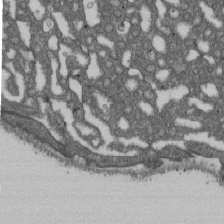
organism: Drosophila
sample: Nephrocyte